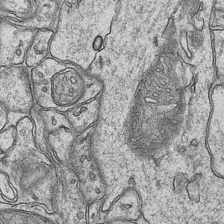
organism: Mouse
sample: CA1 Hippocampus